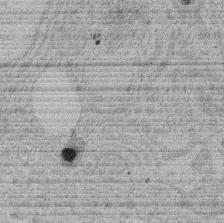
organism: Rat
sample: Salivary granule